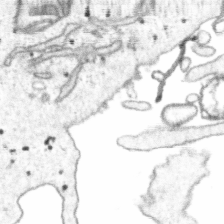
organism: Human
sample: HeLa cells